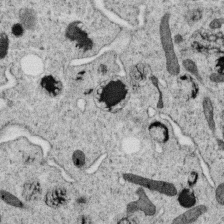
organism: C. elegans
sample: C. elegans oocyte; sperm cells